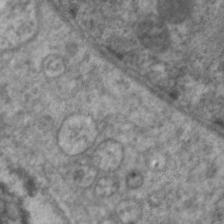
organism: C. elegans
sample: Pharynx